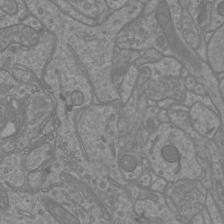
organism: Mouse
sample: Cortical neurons